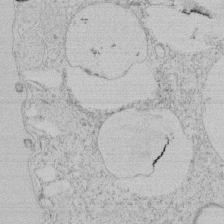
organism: Tetrahymena